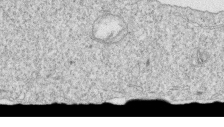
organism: Human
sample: HeLa cell HIV synapse